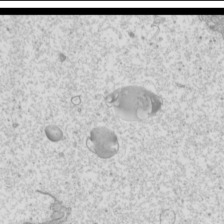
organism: Mouse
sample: Cilia; mouse epididymis